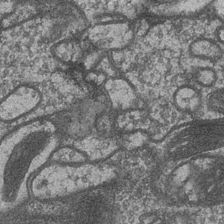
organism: Drosophila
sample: Optic medulla